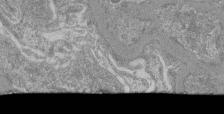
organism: Mouse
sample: Glomerulus